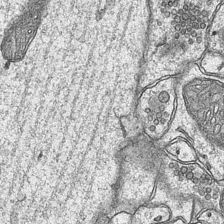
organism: Mouse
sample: CA1 Hippocampus